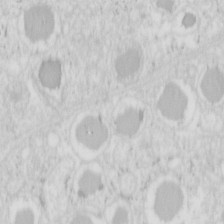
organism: Mouse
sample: Pancreas